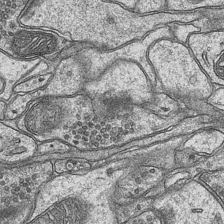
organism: Mouse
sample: CA1 Hippocampus